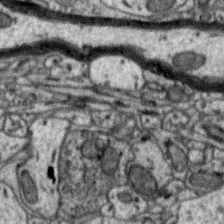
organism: Zebra finch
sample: Brain